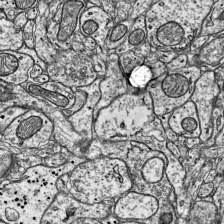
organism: Mouse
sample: Visual Cortex